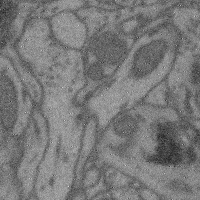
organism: Mouse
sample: Cerebral cortex